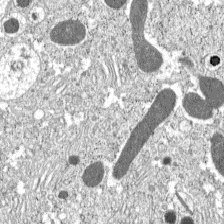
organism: C57BL Mouse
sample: Pancreatic islet